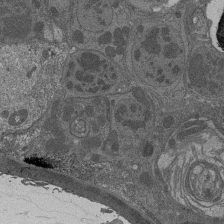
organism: Drosophila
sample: Antenna